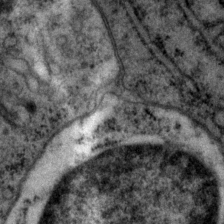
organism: P. pacificus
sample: Pharynx